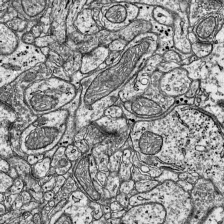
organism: Mouse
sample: Visual Cortex